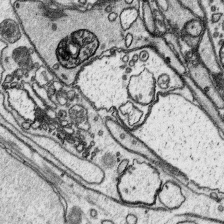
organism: Platynereis dumerilii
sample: Parapodia